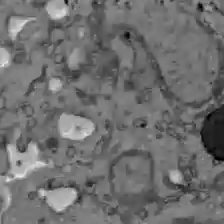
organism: C57BL Mouse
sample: Liver